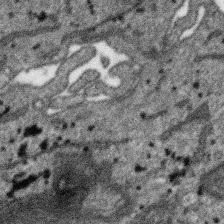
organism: Human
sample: Lung epithelial cells infected with SARS-CoV-2